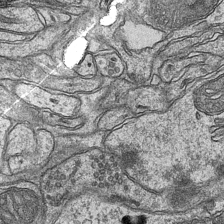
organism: Mouse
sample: CA1 Hippocampus